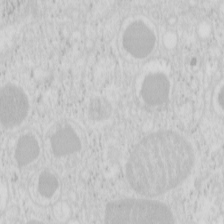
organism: Mouse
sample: Pancreas